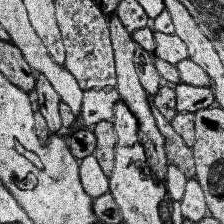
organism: Human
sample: Temporal Lobe